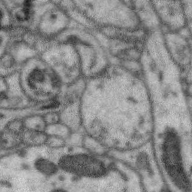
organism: Zebra finch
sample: Brain